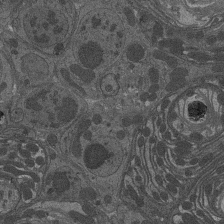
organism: Drosophila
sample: Antenna